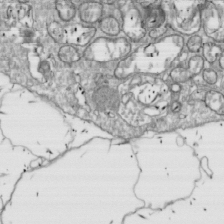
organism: Drosophila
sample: Cell division; meiosis; drosophila spermatocytes